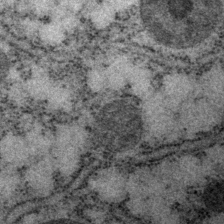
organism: P. pacificus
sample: Pharynx